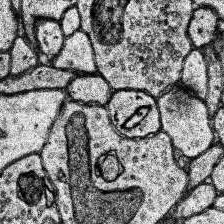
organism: Human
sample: Temporal Lobe